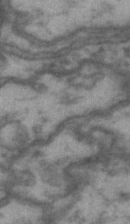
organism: Drosophila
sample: Brain